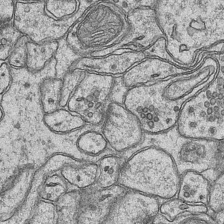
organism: Mouse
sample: CA1 Hippocampus